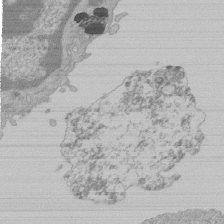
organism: Mouse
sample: Activated Pmel transgenic CD8+ T Cells